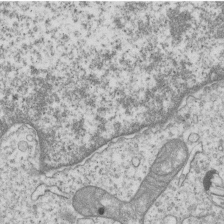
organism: Human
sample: MDA-MB-231 cells